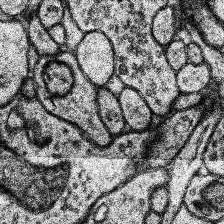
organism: Human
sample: Temporal Lobe